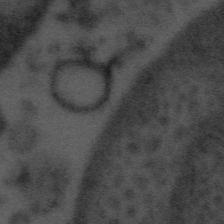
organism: Tuwongella immobilis